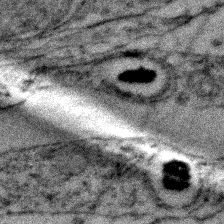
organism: Zebrafish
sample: Zebrafish embryo